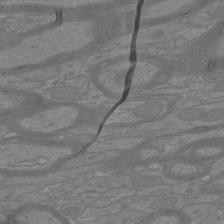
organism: Mouse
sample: Cortical neurons